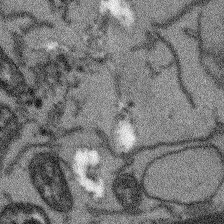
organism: Arabidopsis thaliana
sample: Root tip